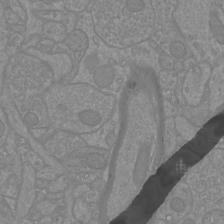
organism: Mouse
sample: Cortical neurons